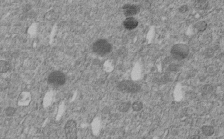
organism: C. elegans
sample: C. elegans embryo early stage